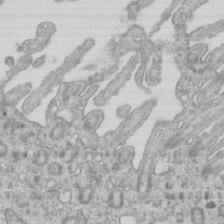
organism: Mouse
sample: Centriole in ependymal cells